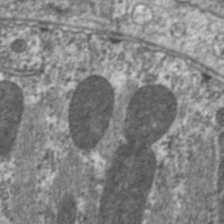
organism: C. elegans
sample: Pharynx